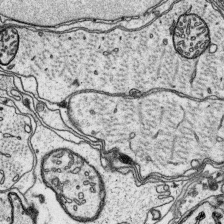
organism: Platynereis dumerilii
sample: Parapodia